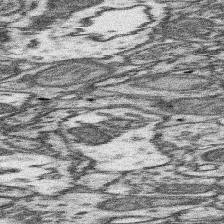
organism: Mouse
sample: Somatosensory cortex neuropil